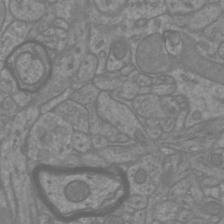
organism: Mouse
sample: Cortical neurons